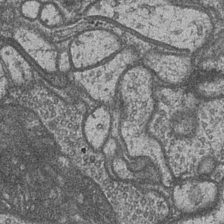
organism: Drosophila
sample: Optic medulla